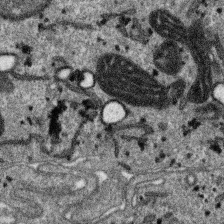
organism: Human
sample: Lung epithelial cells infected with SARS-CoV-2